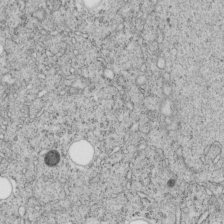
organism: C. elegans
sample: C. elegans embryo early stage